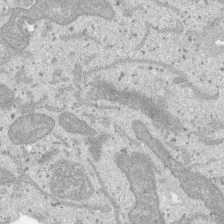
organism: Human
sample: Lung epithelial cells infected with SARS-CoV-2